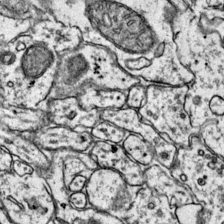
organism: Mouse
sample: Primary visual cortex